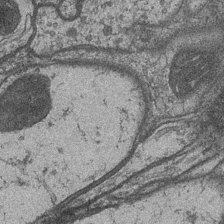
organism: Drosophila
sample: Optic medulla